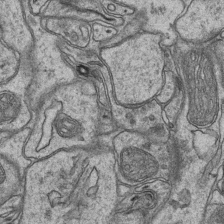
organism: Mouse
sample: CA1 Hippocampus